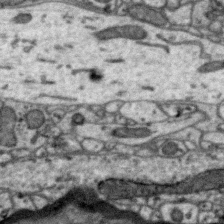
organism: Zebra finch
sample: Brain